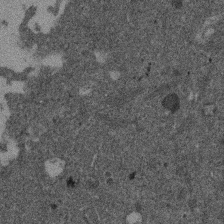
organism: Mouse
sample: Dividing mouse embryo 1 cell stage